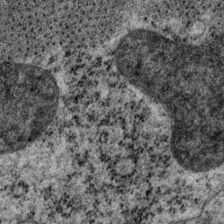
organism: P. pacificus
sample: Pharynx